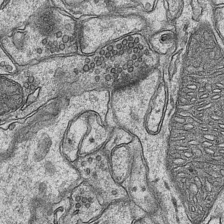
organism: Mouse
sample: CA1 Hippocampus